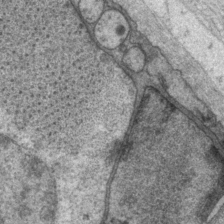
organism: P. pacificus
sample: Pharynx